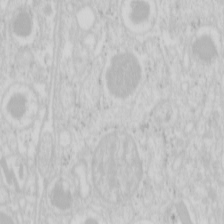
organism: Mouse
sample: Pancreas